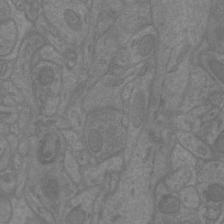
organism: Mouse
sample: Cortical neurons